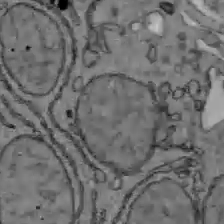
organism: C57BL Mouse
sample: Liver